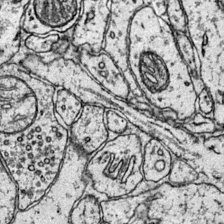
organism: Mouse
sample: Primary visual cortex